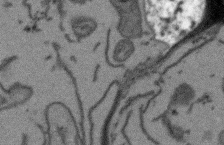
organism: Arabidopsis thaliana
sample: Root tip